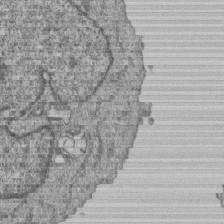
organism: Human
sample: MDA-MB-231 cells